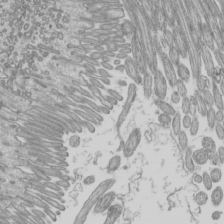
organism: Mouse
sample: Cilia; mouse epididymis